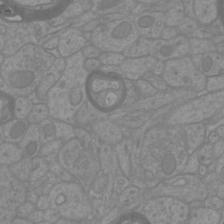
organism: Mouse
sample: Cortical neurons